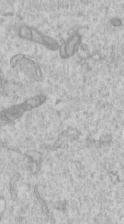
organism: Human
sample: Centriole in RPE cells